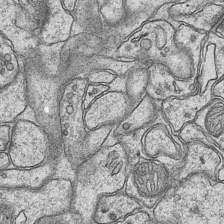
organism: Mouse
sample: CA1 Hippocampus